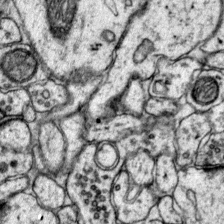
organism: Mouse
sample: Primary visual cortex